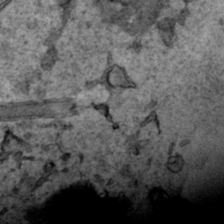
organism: Human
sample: Mitochondria in HCT116 cells